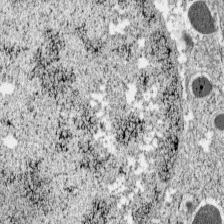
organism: C57BL Mouse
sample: Pancreatic islet